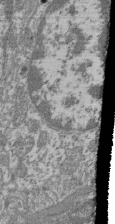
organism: Mouse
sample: Glomerulus